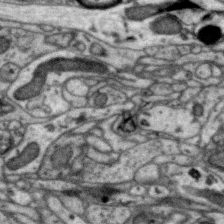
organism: Zebra finch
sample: Brain